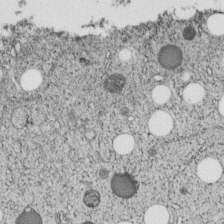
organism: C. elegans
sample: C. elegans embryo early stage